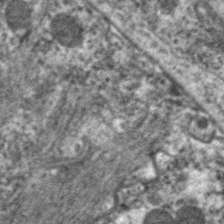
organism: C. elegans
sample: Pharynx